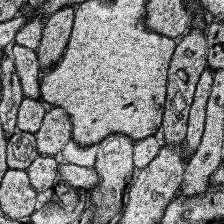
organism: Human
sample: Temporal Lobe